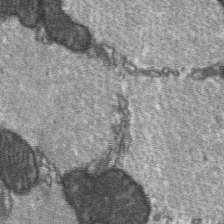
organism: C57BL Mouse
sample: Soleus